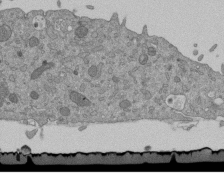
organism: Mouse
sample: ED-1 cell nuclei; centrioles